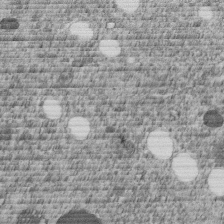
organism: C. elegans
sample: C. elegans embryo early stage